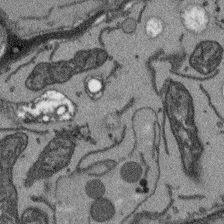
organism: Arabidopsis thaliana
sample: Root tip